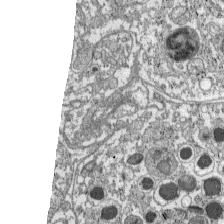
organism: C57BL Mouse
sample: Pancreatic islet